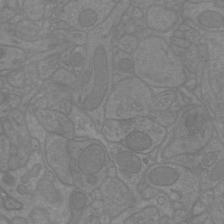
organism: Mouse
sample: Cortical neurons